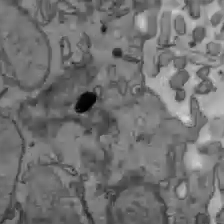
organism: C57BL Mouse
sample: Liver